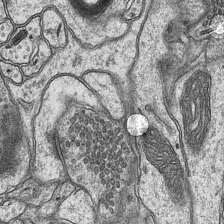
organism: Mouse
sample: CA1 Hippocampus